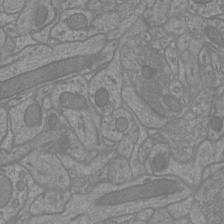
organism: Mouse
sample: Cortical neurons